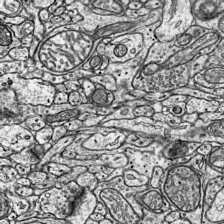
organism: Mouse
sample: Visual Cortex